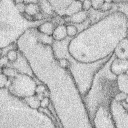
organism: Rabbit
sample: Retina